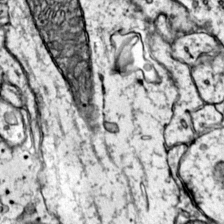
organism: Mouse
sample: Primary visual cortex